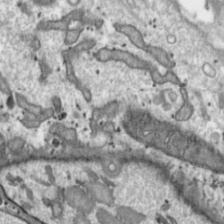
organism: Toxoplasma gondii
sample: Parasites in a vacuole inside a host cell